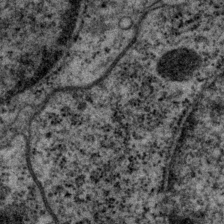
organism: P. pacificus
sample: Pharynx